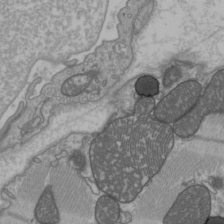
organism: C57BL Mouse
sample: Heart